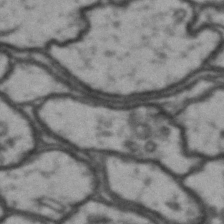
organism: Drosophila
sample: Brain